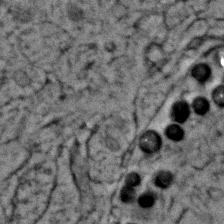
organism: Zebrafish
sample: Zebrafish embryo